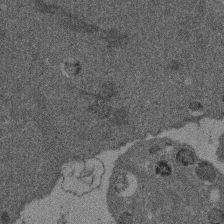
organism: Mouse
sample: Dividing mouse embryo 1 cell stage